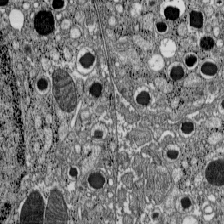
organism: C57BL Mouse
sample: Pancreatic islet